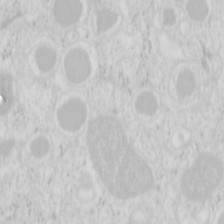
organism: Mouse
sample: Pancreas